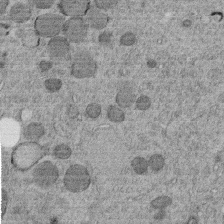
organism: C. elegans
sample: C. elegans embryo early stage